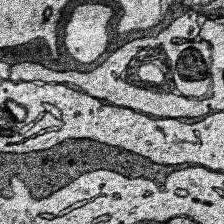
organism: Human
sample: Temporal Lobe